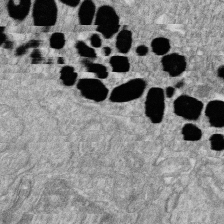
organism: Zebrafish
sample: Cilia; retinal pigment epithelium